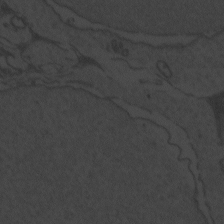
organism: Zebrafish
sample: Macrophage infected with Toxoplasma gondii